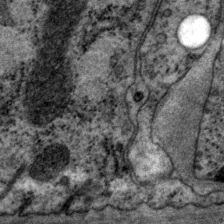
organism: P. pacificus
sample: Pharynx